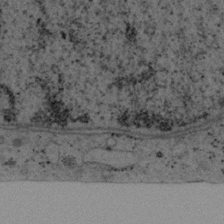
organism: Human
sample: HeLa cells